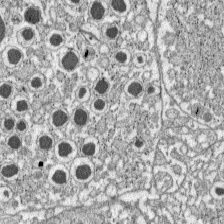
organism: C57BL Mouse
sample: Pancreatic islet